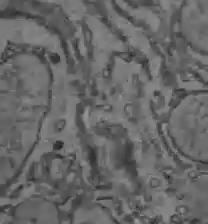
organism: C57BL Mouse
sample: Liver